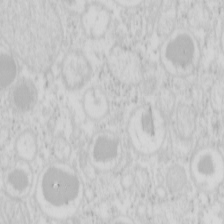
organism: Mouse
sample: Pancreas